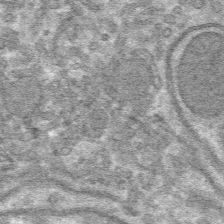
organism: Mouse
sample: Mouse hepatocytes